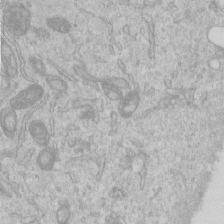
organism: Human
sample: Centriole in RPE cells